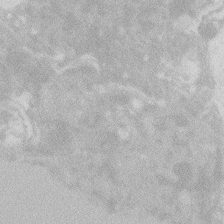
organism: Zebrafish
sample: Macrophage